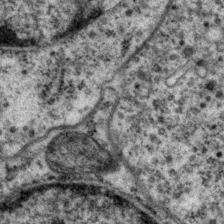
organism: P. pacificus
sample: Pharynx